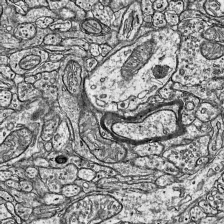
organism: Mouse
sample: Visual Cortex